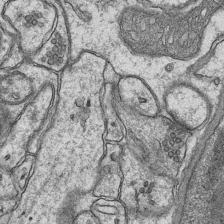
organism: Mouse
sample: CA1 Hippocampus